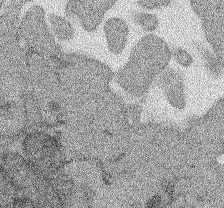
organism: Human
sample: HeLa cells